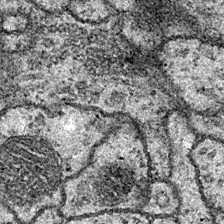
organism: Drosophila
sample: Ventral Nerve Cord